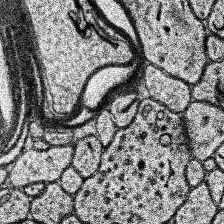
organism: Human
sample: Temporal Lobe